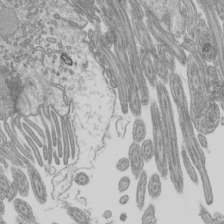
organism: Mouse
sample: Cilia; mouse epididymis